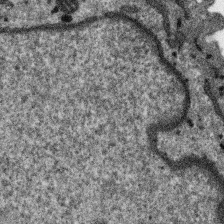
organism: Human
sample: Lung epithelial cells infected with SARS-CoV-2